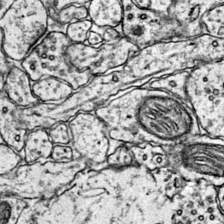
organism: Mouse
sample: Primary visual cortex